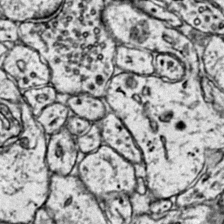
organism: Mouse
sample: Primary visual cortex